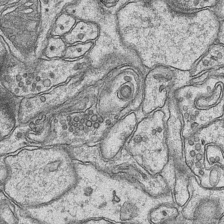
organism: Mouse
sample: CA1 Hippocampus